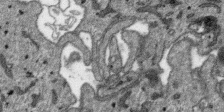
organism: Human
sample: Lung epithelial cells, uninfected (mock) control